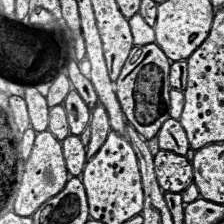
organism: Human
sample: Temporal Lobe